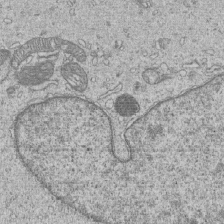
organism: Human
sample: MDA-MB-231 cells